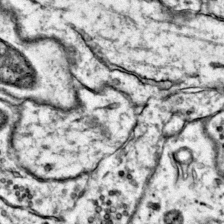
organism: Mouse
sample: Primary visual cortex